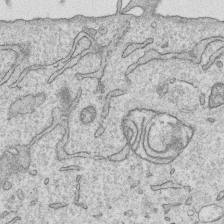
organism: Human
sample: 1205lu cells